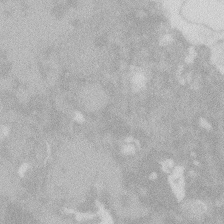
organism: Zebrafish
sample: Macrophage